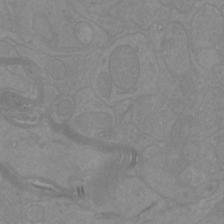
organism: Mouse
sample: Cortical neurons